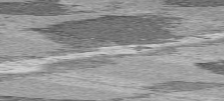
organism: C57BL Mouse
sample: Heart